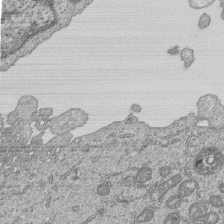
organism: Human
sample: MDA-MB-231 cells